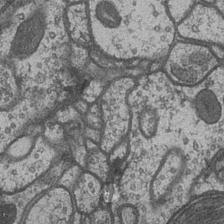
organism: Drosophila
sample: Optic medulla